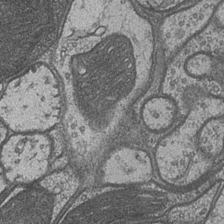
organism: Drosophila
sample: Optic medulla